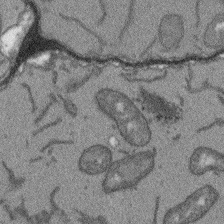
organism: Arabidopsis thaliana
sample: Root tip